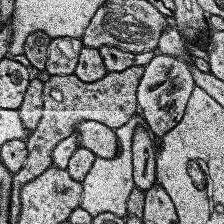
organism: Human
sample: Temporal Lobe